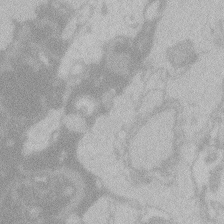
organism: Zebrafish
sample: Macrophage infected with Toxoplasma gondii